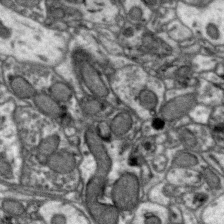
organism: Zebra finch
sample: Brain